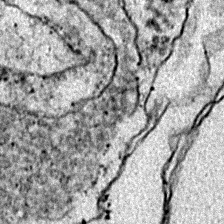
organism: Zebrafish